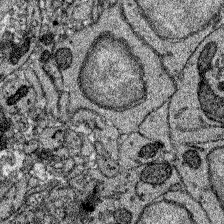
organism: Zebrafish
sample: Larval olfactory bulb